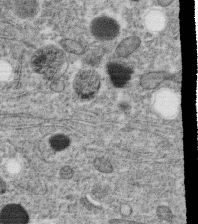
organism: C. elegans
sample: C. elegans oocyte; sperm cells